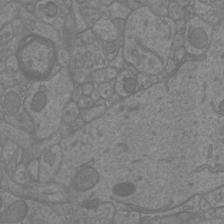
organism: Mouse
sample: Cortical neurons